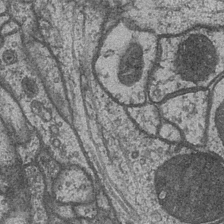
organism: Drosophila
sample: Optic medulla